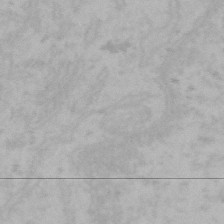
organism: Mouse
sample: Choroid plexus